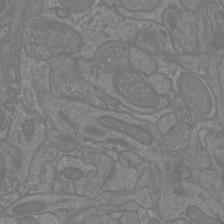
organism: Mouse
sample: Cortical neurons